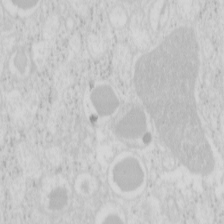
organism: Mouse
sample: Pancreas